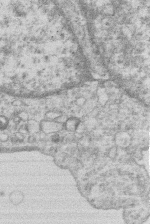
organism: Human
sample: Macrophage cells